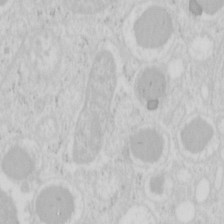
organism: Mouse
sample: Pancreas